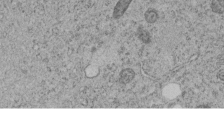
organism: C. elegans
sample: C. elegans embryo early stage